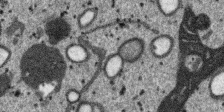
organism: Human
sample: Lung epithelial cells infected with SARS-CoV-2